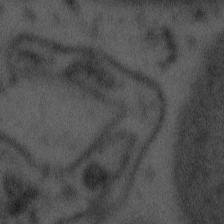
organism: Tuwongella immobilis